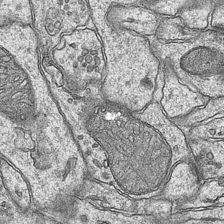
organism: Mouse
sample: CA1 Hippocampus